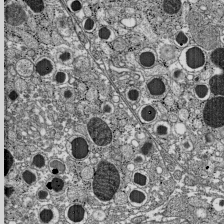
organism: C57BL Mouse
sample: Pancreatic islet